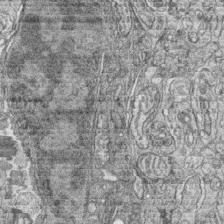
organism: Zebrafish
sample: synaptic ribbons in rod cells and cone cells